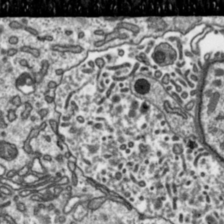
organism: Toxoplasma gondii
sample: Parasites in a vacuole inside a host cell